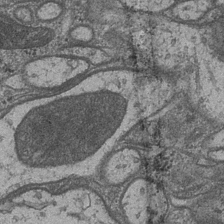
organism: Drosophila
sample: Optic medulla